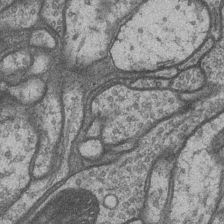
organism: Drosophila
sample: Optic medulla